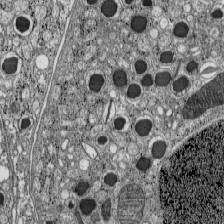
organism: C57BL Mouse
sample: Pancreatic islet